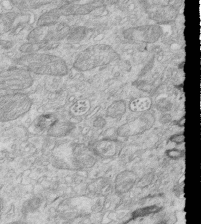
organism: Mouse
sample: Multiciliated cells